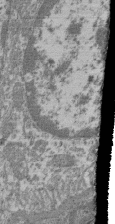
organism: Mouse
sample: Glomerulus